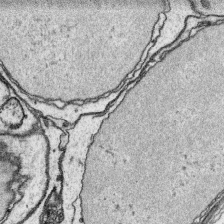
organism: Platynereis dumerilii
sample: Parapodia